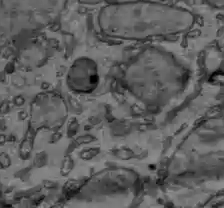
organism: C57BL Mouse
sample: Liver